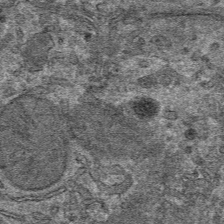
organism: Mouse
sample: Mouse hepatocytes